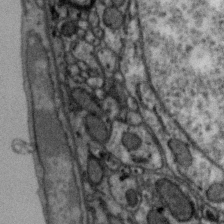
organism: Zebra finch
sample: Brain